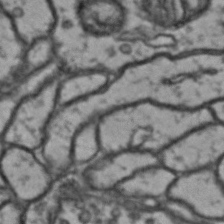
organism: Drosophila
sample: Brain